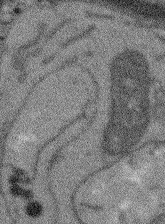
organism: Arabidopsis thaliana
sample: Root tip